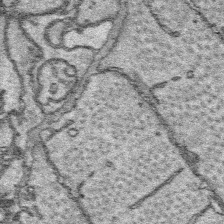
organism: Platynereis dumerilii